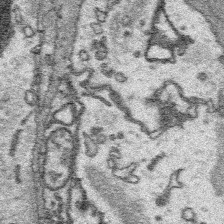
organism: Platynereis dumerilii